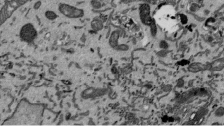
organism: Mouse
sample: ED-1 cell nuclei; centrioles